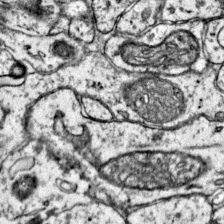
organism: Mouse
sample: Primary visual cortex